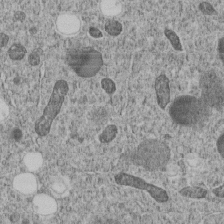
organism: C. elegans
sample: C. elegans embryo early stage